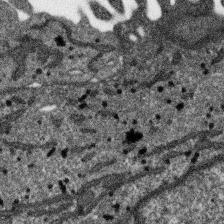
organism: Human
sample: Lung epithelial cells infected with SARS-CoV-2